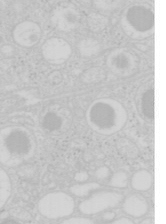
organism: Mouse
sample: Pancreas